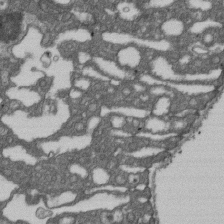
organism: Drosophila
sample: Nephrocyte